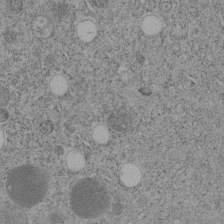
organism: C. elegans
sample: C. elegans embryo early stage